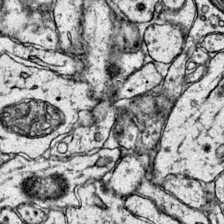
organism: Mouse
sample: Primary visual cortex